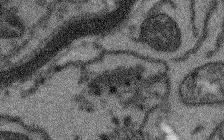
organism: Arabidopsis thaliana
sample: Root tip